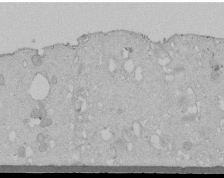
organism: Human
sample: Melanocyte Keratinocyte synapse skin construct